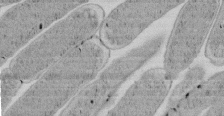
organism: E. coli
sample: Bacterial nucleoid